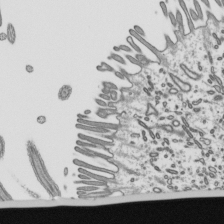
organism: Mouse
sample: Mouse epididymis efferent ductule cilia